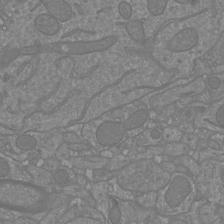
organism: Mouse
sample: Cortical neurons